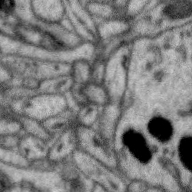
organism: Zebra finch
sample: Brain